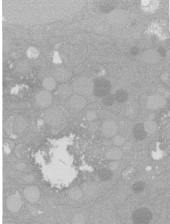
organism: C. elegans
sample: C. elegans oocyte; sperm cells